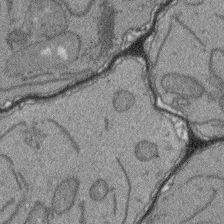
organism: Arabidopsis thaliana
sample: Root tip